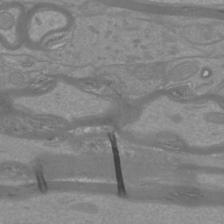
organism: Mouse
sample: Cortical neurons